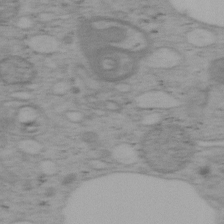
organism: Mouse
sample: OT-I killer T cells with ID8 ovarian cancer cells